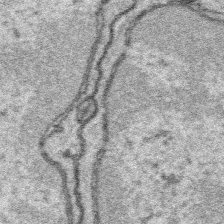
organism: Platynereis dumerilii